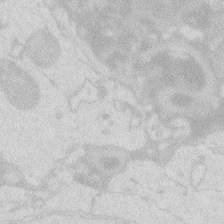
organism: Zebrafish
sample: Macrophage